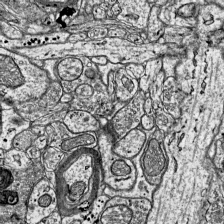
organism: Mouse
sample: Visual Cortex